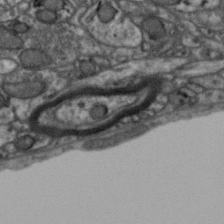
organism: Zebra finch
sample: Brain